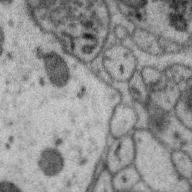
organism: Zebra finch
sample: Brain